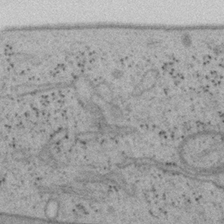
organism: Human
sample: HeLa cells